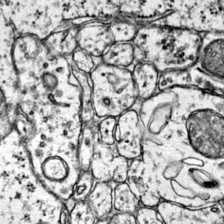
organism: Mouse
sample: Primary visual cortex